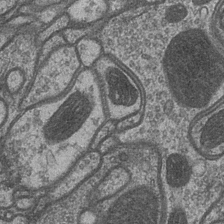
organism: Drosophila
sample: Optic medulla